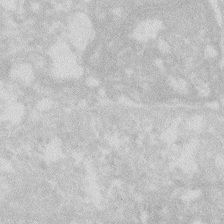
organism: Zebrafish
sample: Macrophage